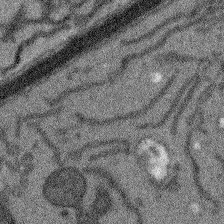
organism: Arabidopsis thaliana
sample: Root tip